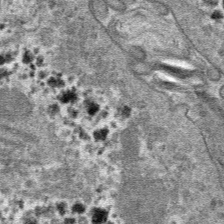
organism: Mouse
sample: Mouse hepatocytes